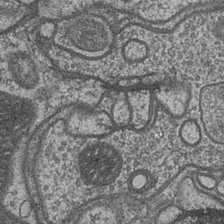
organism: Drosophila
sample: Optic medulla